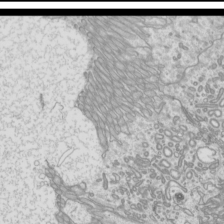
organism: Mouse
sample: Cilia; mouse epididymis